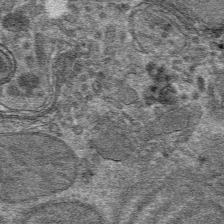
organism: Mouse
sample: Mouse hepatocytes